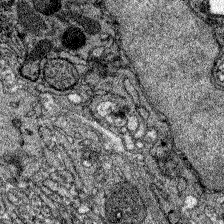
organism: Zebrafish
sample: Larval olfactory bulb